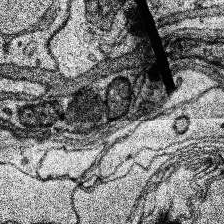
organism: Human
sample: Temporal Lobe